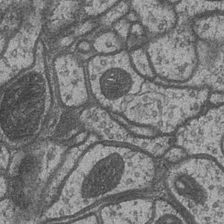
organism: Drosophila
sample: Optic medulla